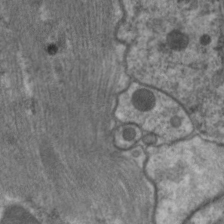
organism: C. elegans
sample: Pharynx